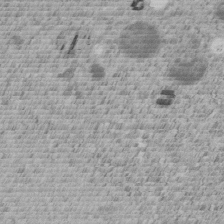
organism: C. elegans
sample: C. elegans embryo early stage